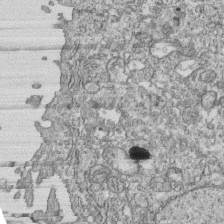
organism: Human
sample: HeLa cell HIV synapse